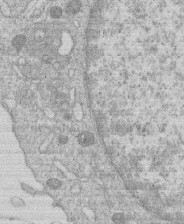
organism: Human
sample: Macrophage cells